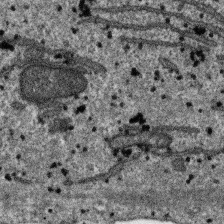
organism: Human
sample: Lung epithelial cells infected with SARS-CoV-2